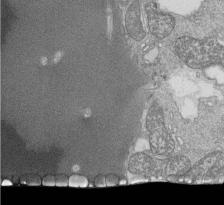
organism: Tetrahymena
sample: Cilia in tetrahymena